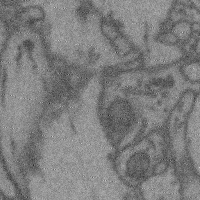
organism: Mouse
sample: Cerebral cortex